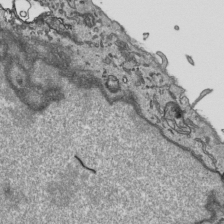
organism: Human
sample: Mitochondria in HCT116 cells